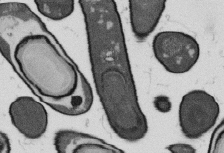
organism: B. subtilis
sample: Bacterial spore